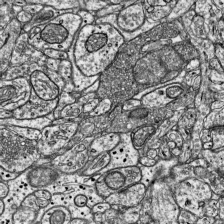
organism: Mouse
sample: Visual Cortex